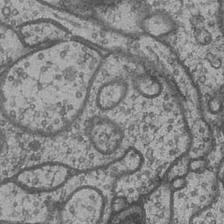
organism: Drosophila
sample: Optic medulla